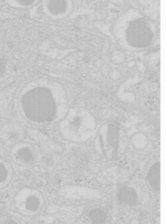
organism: Mouse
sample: Pancreas